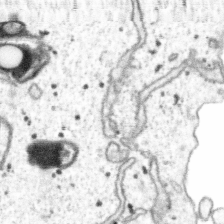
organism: Human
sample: HeLa cells